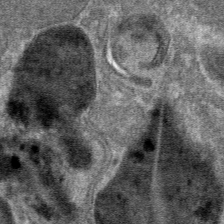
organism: Mouse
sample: Mouse hepatocytes